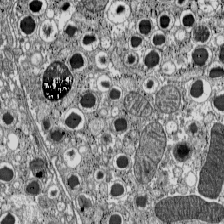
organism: C57BL Mouse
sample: Pancreatic islet